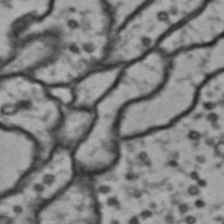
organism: Drosophila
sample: Brain